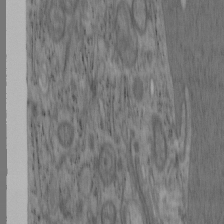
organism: Human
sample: HeLa cells